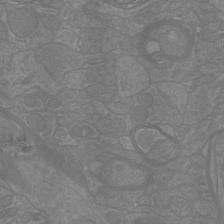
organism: Mouse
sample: Cortical neurons